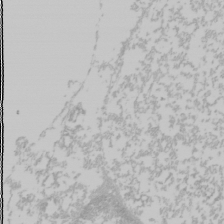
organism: Mouse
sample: Cancer cell death in ED-1 cells